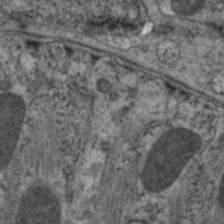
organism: C. elegans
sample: Pharynx